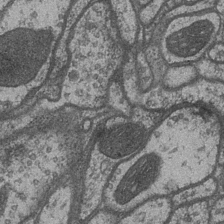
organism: Drosophila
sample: Optic medulla